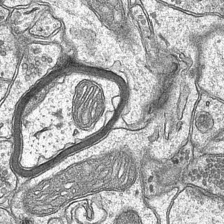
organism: Mouse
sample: CA1 Hippocampus